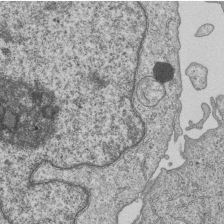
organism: Human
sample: MDA-MB-231 cells